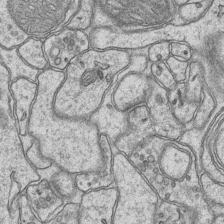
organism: Mouse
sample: CA1 Hippocampus